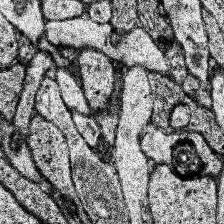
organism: Human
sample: Temporal Lobe